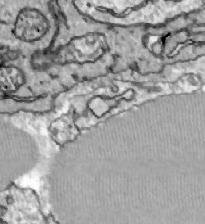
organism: Zebrafish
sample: Actinotrichia fibers